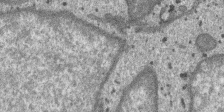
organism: Human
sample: Lung epithelial cells infected with SARS-CoV-2